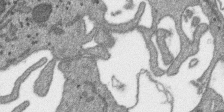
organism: Human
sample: Lung epithelial cells infected with SARS-CoV-2